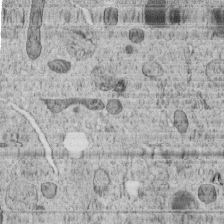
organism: C. elegans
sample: C. elegans embryo early stage